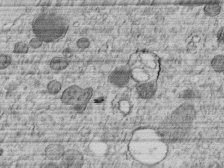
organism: C. elegans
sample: C. elegans embryo early stage